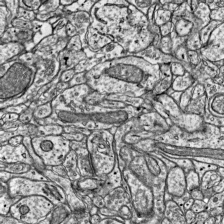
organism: Mouse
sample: Visual Cortex